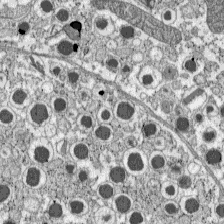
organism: C57BL Mouse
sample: Pancreatic islet